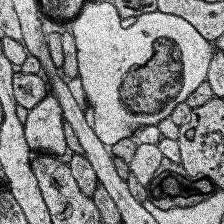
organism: Human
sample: Temporal Lobe